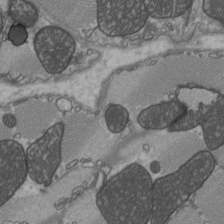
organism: C57BL Mouse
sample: Heart